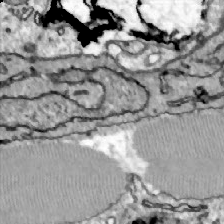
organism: Zebrafish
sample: Actinotrichia fibers